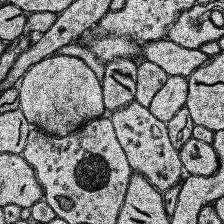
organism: Human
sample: Temporal Lobe